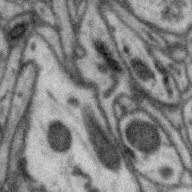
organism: Zebra finch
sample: Brain